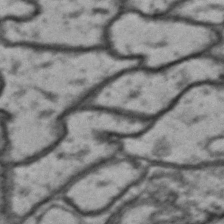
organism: Drosophila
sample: Brain